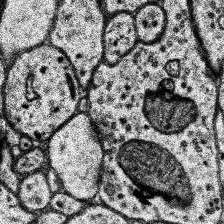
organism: Human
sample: Temporal Lobe